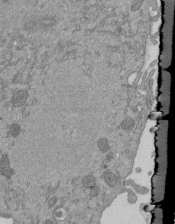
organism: Mouse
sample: ED-1 cell nuclei; centrioles